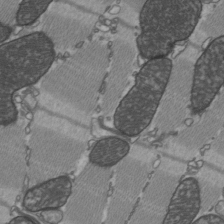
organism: C57BL Mouse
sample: Heart